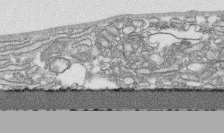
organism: Human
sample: CRL-1474